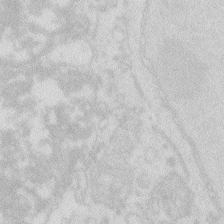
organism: Zebrafish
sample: Macrophage